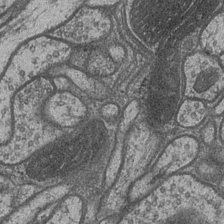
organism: Drosophila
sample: Optic medulla